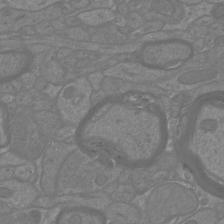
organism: Mouse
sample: Cortical neurons